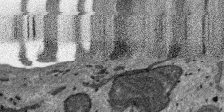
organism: Human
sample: Lung epithelial cells, uninfected (mock) control